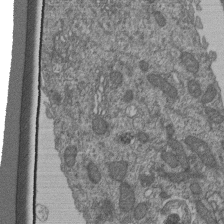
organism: Human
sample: Retinal organoid Rod and Cone cells